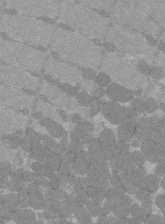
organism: C57BL Mouse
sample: Tibialis anterior muscle cell